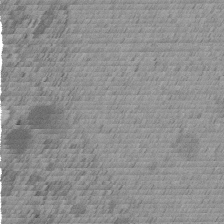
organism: C. elegans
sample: C. elegans embryo early stage